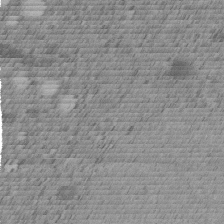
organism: C. elegans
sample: C. elegans embryo early stage